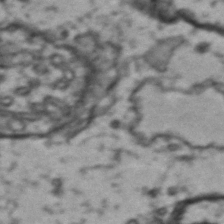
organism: Drosophila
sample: Brain